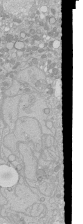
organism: Human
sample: Caco-2 cells